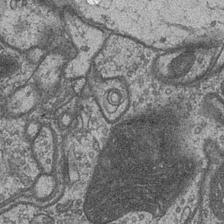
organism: Drosophila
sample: Optic medulla